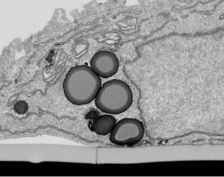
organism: Human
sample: Mitochondria in HCT116 cells